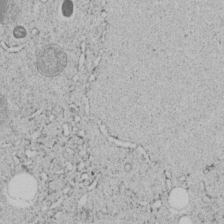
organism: C. elegans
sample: C. elegans embryo early stage